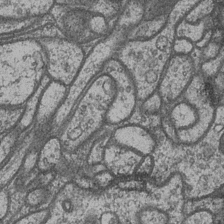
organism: Drosophila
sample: Optic medulla